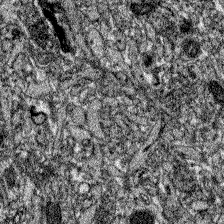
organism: Zebrafish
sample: Larval olfactory bulb